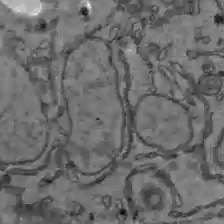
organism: C57BL Mouse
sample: Liver